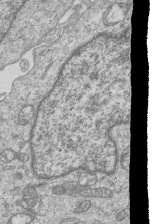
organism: Human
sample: MDA-MB-231 cells